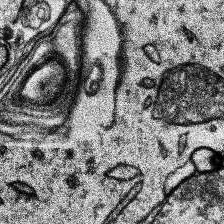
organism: Human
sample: Temporal Lobe